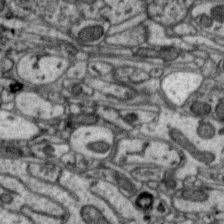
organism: Zebra finch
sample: Brain